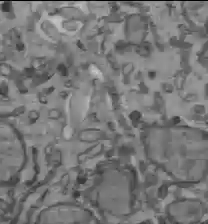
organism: C57BL Mouse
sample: Liver